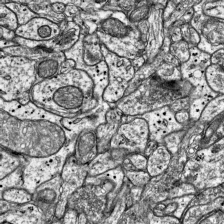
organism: Mouse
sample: Visual Cortex